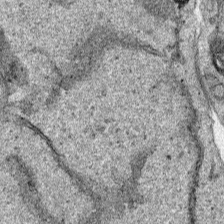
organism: Human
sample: Mitochondria in HCT116 cells